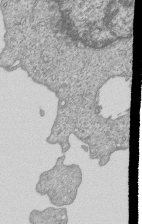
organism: Human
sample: MDA-MB-231 cells